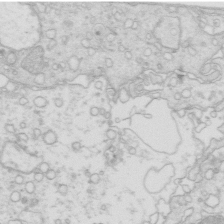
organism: Mouse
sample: Multiciliated cells